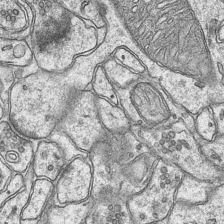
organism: Mouse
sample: CA1 Hippocampus